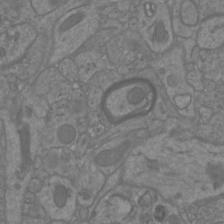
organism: Mouse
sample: Cortical neurons